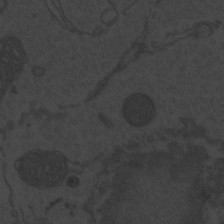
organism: Zebrafish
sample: Macrophage infected with Toxoplasma gondii